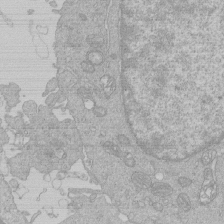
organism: Human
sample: Macrophage cells